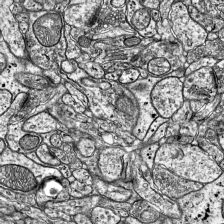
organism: Mouse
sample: Visual Cortex